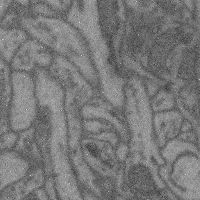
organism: Mouse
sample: Cerebral cortex